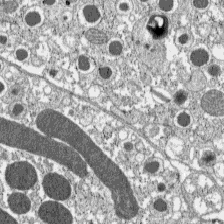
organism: C57BL Mouse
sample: Pancreatic islet